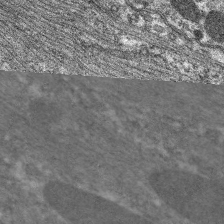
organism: C. elegans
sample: Pharynx